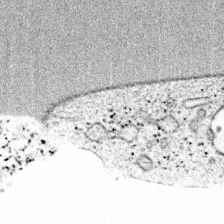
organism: Human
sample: HeLa cells